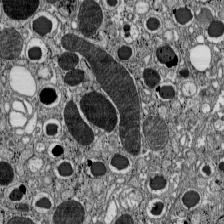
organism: C57BL Mouse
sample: Pancreatic islet